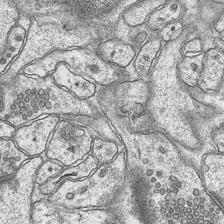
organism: Mouse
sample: CA1 Hippocampus